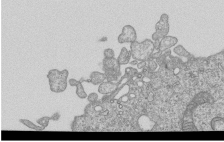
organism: Human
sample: MDA-MB-231 cells